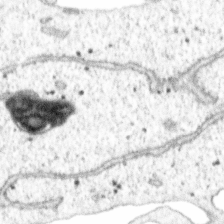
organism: Human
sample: HeLa cells